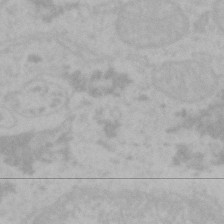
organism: Mouse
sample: Choroid plexus